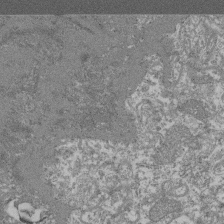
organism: Mouse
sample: Glomerulus